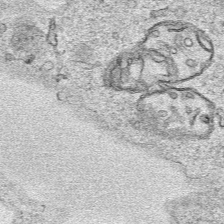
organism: Human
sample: Mitochondria in HCT116 cells